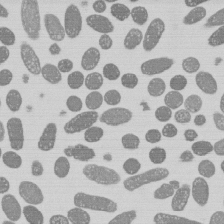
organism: E. coli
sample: Bacterial nucleoid